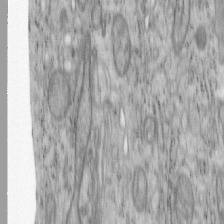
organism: Human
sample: HeLa cells